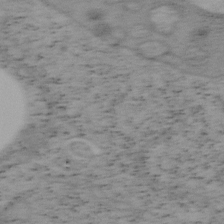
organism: Mouse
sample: OT-I killer T cells with ID8 ovarian cancer cells